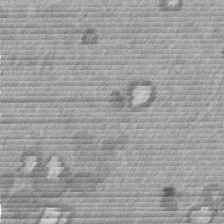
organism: Mouse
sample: Dividing mouse embryo 1 cell stage